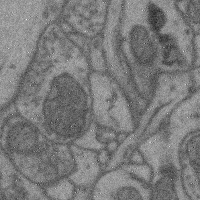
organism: Mouse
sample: Cerebral cortex